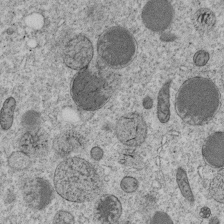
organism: C. elegans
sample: C. elegans embryo early stage